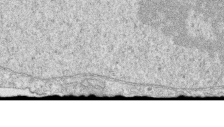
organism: Human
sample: HeLa cell HIV synapse